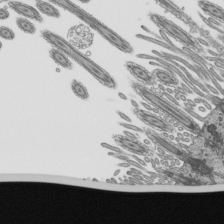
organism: Mouse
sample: Mouse epididymis efferent ductule cilia